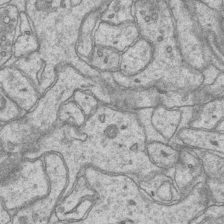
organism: Mouse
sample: CA1 Hippocampus